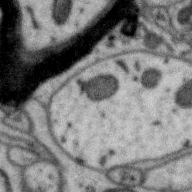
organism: Zebra finch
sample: Brain